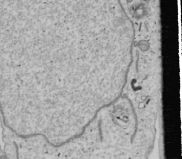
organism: Human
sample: Mitochondria in U2OS cells